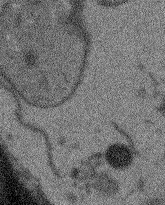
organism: Arabidopsis thaliana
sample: Root tip